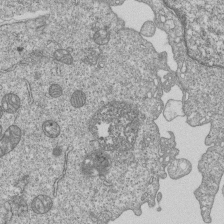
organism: Human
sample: MDA-MB-231 cells